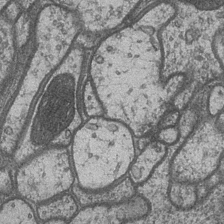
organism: Drosophila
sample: Optic medulla